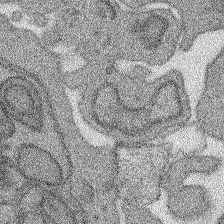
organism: Human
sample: HeLa cells